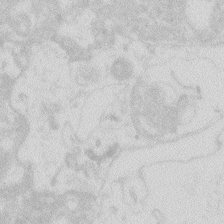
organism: Zebrafish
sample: Macrophage